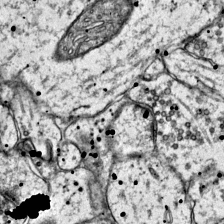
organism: Mouse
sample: Primary visual cortex